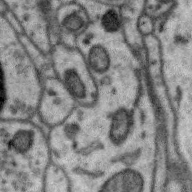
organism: Zebra finch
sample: Brain